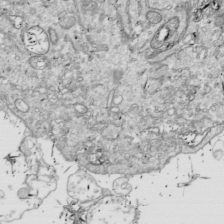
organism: Drosophila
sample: Cell division; meiosis; drosophila spermatocytes